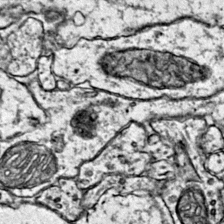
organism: Mouse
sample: Primary visual cortex